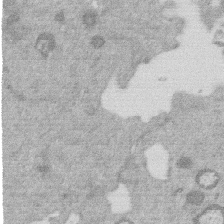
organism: Mouse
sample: Dividing mouse embryo 1 cell stage